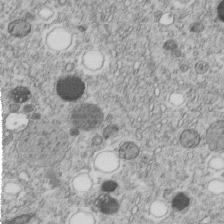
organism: C. elegans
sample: C. elegans embryo early stage